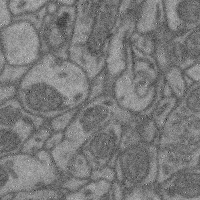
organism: Mouse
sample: Cerebral cortex